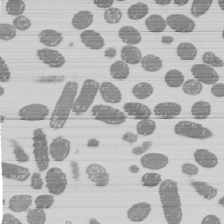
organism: E. coli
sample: Bacterial nucleoid